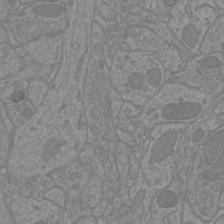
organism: Mouse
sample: Cortical neurons